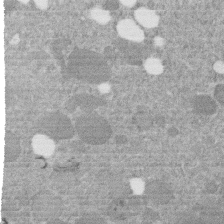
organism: C. elegans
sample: C. elegans embryo early stage